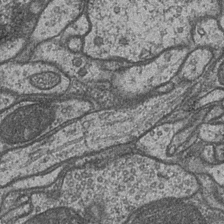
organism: Drosophila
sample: Optic medulla